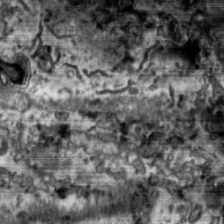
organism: Toxoplasma gondii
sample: Parasites in a vacuole inside a host cell